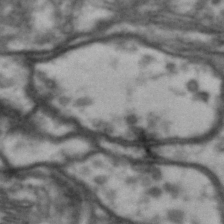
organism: Drosophila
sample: Brain